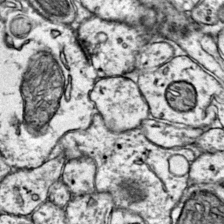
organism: Mouse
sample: Primary visual cortex